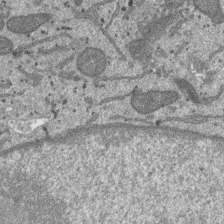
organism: Human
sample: Lung epithelial cells infected with SARS-CoV-2